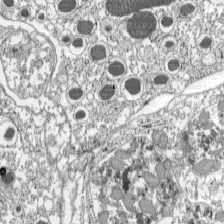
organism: C57BL Mouse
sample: Pancreatic islet